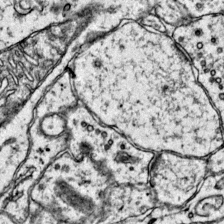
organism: Mouse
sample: Primary visual cortex